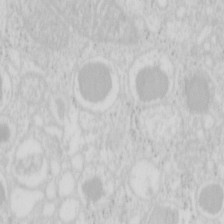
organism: Mouse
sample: Pancreas